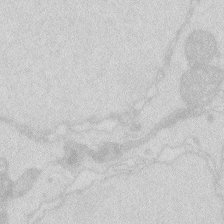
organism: Zebrafish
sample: Macrophage